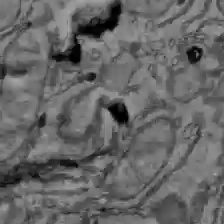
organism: C57BL Mouse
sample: Liver